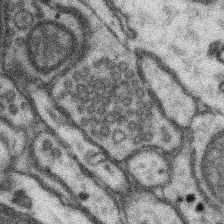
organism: Mouse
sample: Somatosensory cortex neuropil